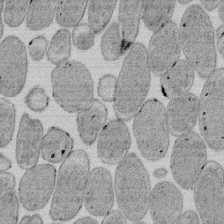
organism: E. coli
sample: Bacterial nucleoid